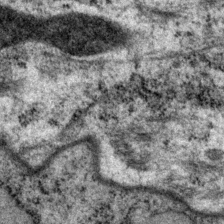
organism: P. pacificus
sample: Pharynx